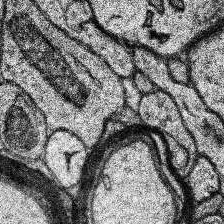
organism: Human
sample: Temporal Lobe